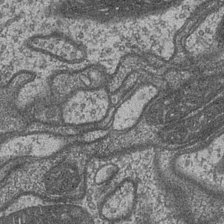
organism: Drosophila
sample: Optic medulla